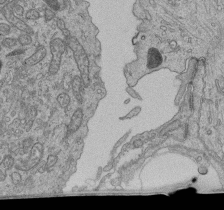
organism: Human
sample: Retinal organoid Rod and Cone cells